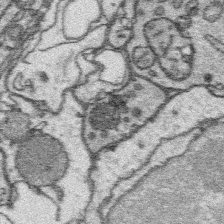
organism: Platynereis dumerilii